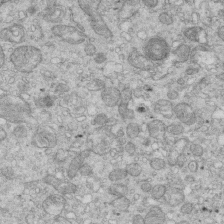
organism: Mouse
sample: Multiciliated cells